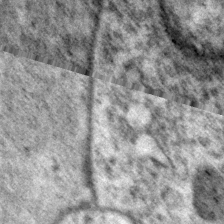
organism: P. pacificus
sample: Pharynx